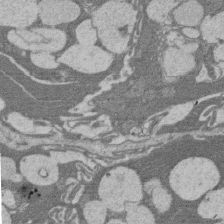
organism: Rat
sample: Salivary granule